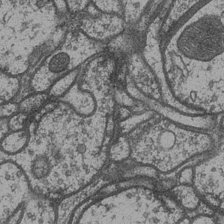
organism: Drosophila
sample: Optic medulla